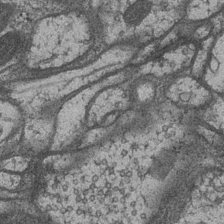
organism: Drosophila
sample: Optic medulla